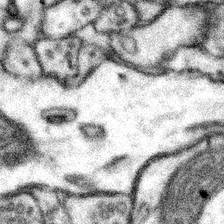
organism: Mouse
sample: Somatosensory cortex neuropil